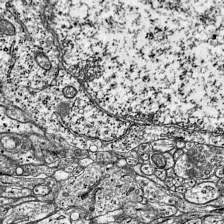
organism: Mouse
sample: Visual Cortex